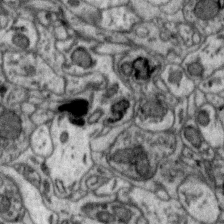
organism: Zebra finch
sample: Brain